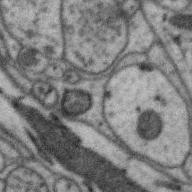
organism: Zebra finch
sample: Brain